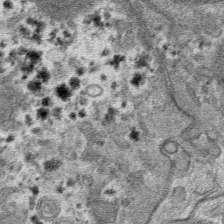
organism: Mouse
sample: Mouse hepatocytes